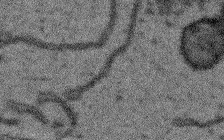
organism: Arabidopsis thaliana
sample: Root tip